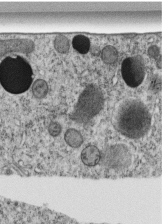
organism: C. elegans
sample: C. elegans embryo early stage